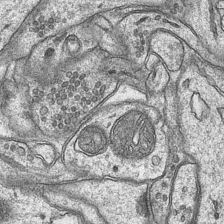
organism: Mouse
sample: CA1 Hippocampus